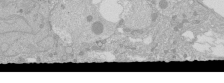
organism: Human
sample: Caco-2 cells